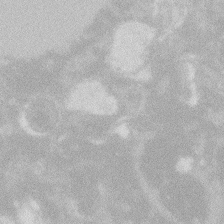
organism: Zebrafish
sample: Macrophage